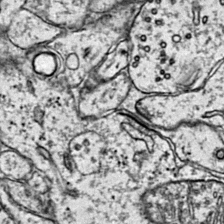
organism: Mouse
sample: Primary visual cortex